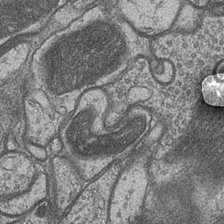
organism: Drosophila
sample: Optic medulla